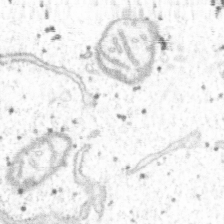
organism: Human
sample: HeLa cells